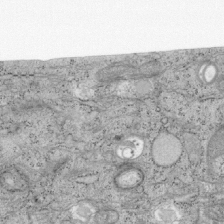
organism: Human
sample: HeLa cells